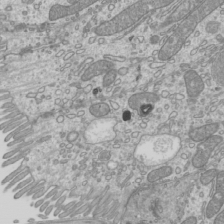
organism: Mouse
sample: Cilia; mouse epididymis